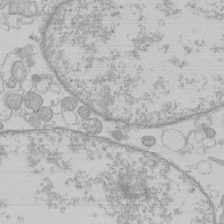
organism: Human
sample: Macrophage cells